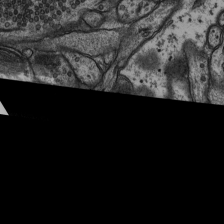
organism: Rat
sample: Hippocampus